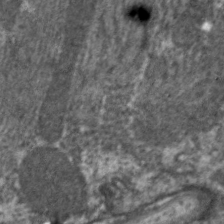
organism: C. elegans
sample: Pharynx